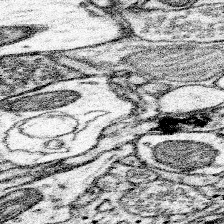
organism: Mouse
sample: Somatosensory cortex neuropil